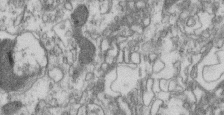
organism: Mouse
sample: Centriole in ependymal cells